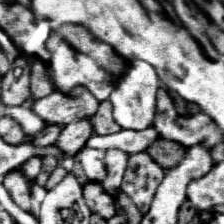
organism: Human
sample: Temporal Lobe